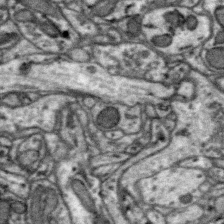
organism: Zebra finch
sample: Brain